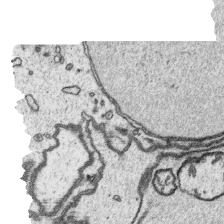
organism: Platynereis dumerilii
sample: Parapodia